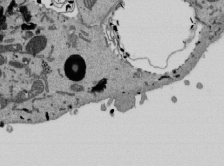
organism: Mouse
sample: ED-1 cell nuclei; centrioles